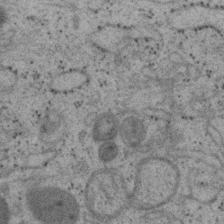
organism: Human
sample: HeLa cells